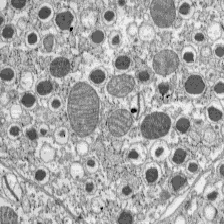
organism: C57BL Mouse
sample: Pancreatic islet